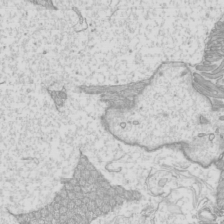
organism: Mouse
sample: Cilia; mouse epididymis